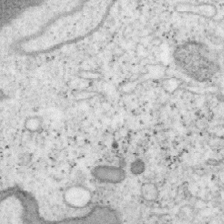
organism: Mouse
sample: OT-I killer T cells with ID8 ovarian cancer cells